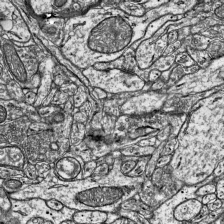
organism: Mouse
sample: Visual Cortex